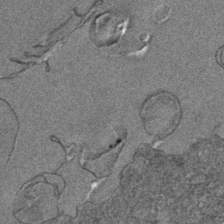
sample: Trachea